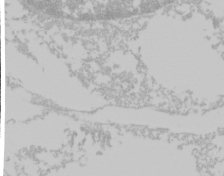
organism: Mouse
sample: Cancer cell death in ED-1 cells